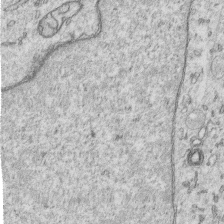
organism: Human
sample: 1205lu cells